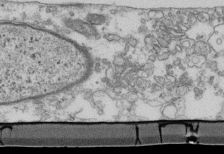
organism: Mouse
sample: Cilia; retinal pigment epithelium